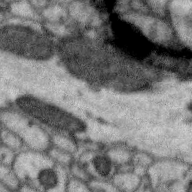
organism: Zebra finch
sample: Brain